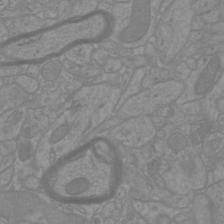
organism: Mouse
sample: Cortical neurons